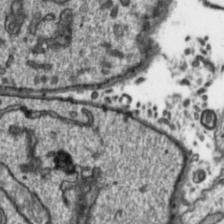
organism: Toxoplasma gondii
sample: Parasites in a vacuole inside a host cell